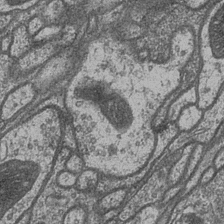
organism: Drosophila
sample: Optic medulla